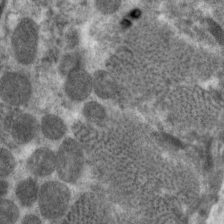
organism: C. elegans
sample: Pharynx